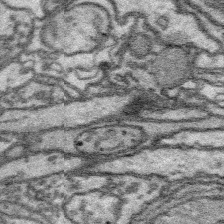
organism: Platynereis dumerilii